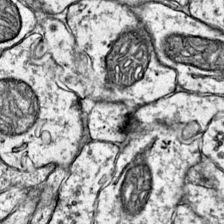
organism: Mouse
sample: Primary visual cortex